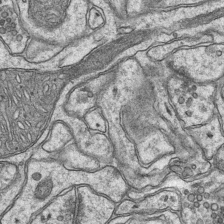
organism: Mouse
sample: CA1 Hippocampus